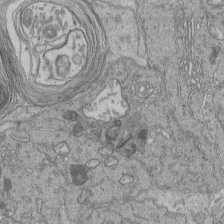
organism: Human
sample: Retinal organoid Rod and Cone cells